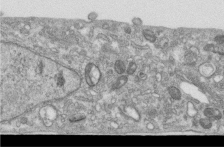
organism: Human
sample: Centriole in RPE cells